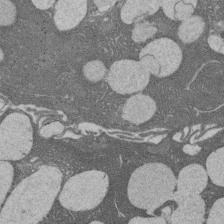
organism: Rat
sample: Salivary granule